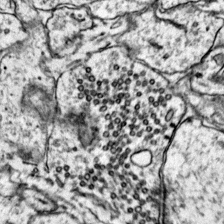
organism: Mouse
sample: Primary visual cortex